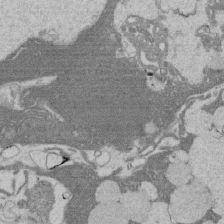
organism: Rat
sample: Salivary granule